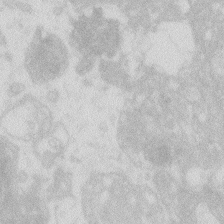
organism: Zebrafish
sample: Macrophage